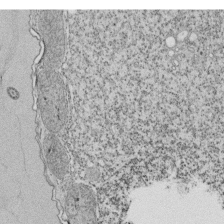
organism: Tetrahymena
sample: Cilia in tetrahymena